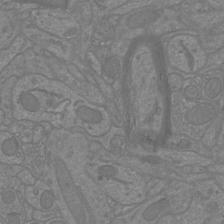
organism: Mouse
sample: Cortical neurons